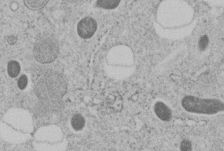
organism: C. elegans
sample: C. elegans embryo early stage